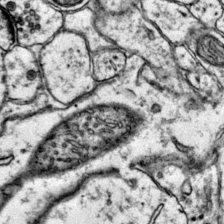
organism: Mouse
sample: Primary visual cortex